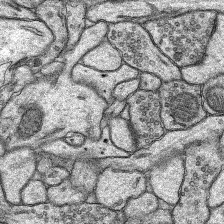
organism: Rat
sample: Hippocampus